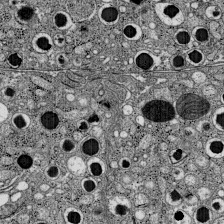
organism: C57BL Mouse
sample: Pancreatic islet